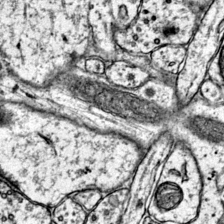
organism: Mouse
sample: Primary visual cortex